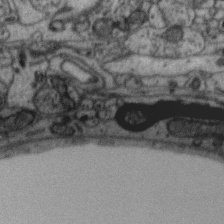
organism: Zebra finch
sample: Brain